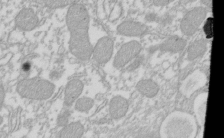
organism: Xenopus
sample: Cilia; centrioles in frog embryo cells